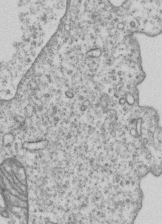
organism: Human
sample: MDA-MB-231 cells